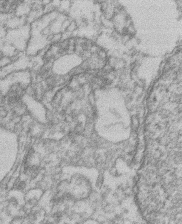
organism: Mouse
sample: T cell stromal cell synapse